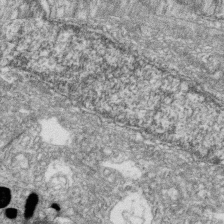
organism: Zebrafish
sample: Cilia; retinal pigment epithelium